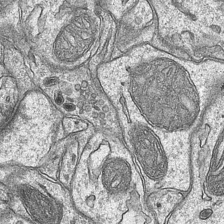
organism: Mouse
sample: CA1 Hippocampus